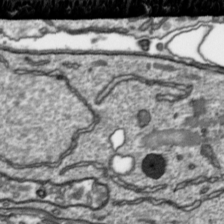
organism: Toxoplasma gondii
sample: Parasites in a vacuole inside a host cell